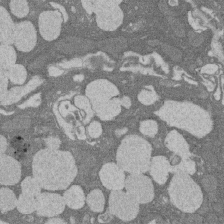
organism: Rat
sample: Salivary granule